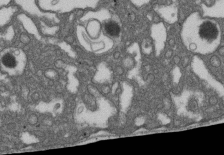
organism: Drosophila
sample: Nephrocyte